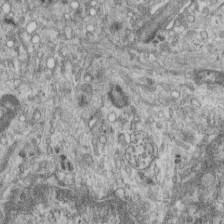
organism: Mouse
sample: Centriole in ependymal cells